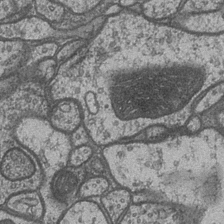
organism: Drosophila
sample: Optic medulla